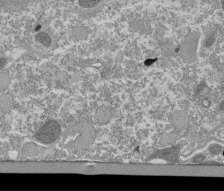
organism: Tetrahymena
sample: Cilia in tetrahymena